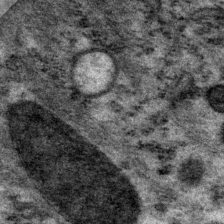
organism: P. pacificus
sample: Pharynx